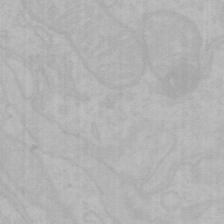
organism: Mouse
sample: Choroid plexus